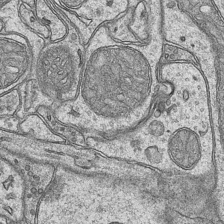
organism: Mouse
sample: CA1 Hippocampus